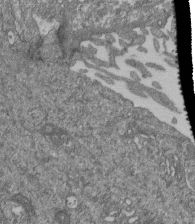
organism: Human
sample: Retinal organoid Rod and Cone cells